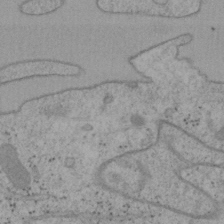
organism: Human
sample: HeLa cells